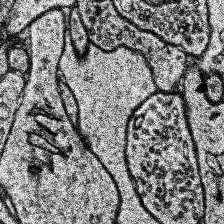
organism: Human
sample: Temporal Lobe